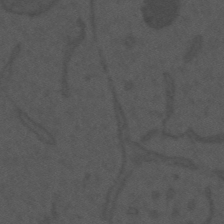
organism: Mouse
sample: Suprachiasmatic nucleus